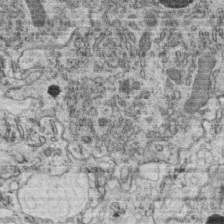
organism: C. elegans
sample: C. elegans oocyte; sperm cells